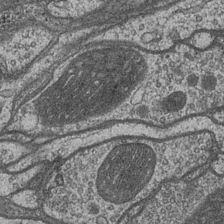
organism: Drosophila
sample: Optic medulla